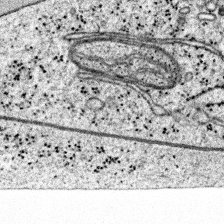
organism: Human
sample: HeLa cells